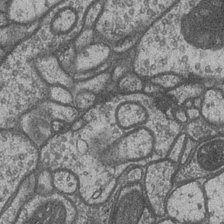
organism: Drosophila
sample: Optic medulla